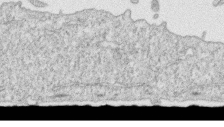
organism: Human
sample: HeLa cell HIV synapse